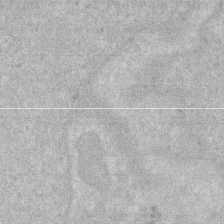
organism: Human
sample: HIV infected U937 cells